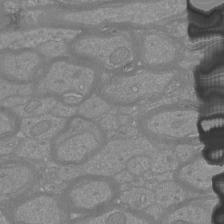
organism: Mouse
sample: Cortical neurons